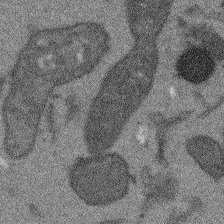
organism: Arabidopsis thaliana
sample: Root tip